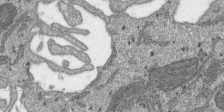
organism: Human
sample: Lung epithelial cells infected with SARS-CoV-2